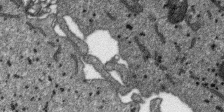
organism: Human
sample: Lung epithelial cells infected with SARS-CoV-2